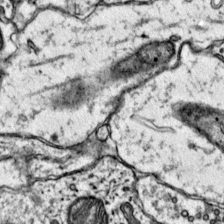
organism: Mouse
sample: Primary visual cortex